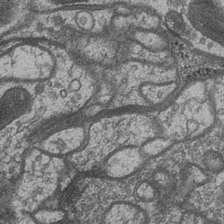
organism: Drosophila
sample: Optic medulla